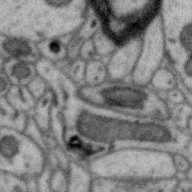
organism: Zebra finch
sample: Brain